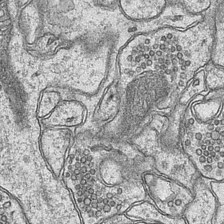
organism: Mouse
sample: CA1 Hippocampus